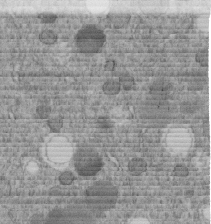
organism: C. elegans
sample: C. elegans embryo early stage